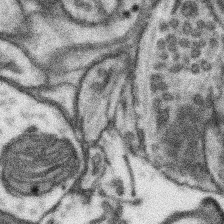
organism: Mouse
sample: Somatosensory cortex neuropil